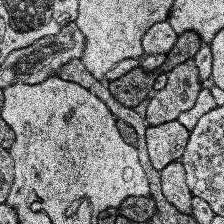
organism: Human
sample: Temporal Lobe